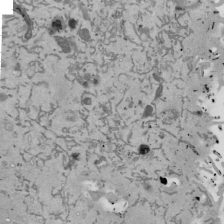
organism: Mouse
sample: ED-1 cell nuclei; centrioles